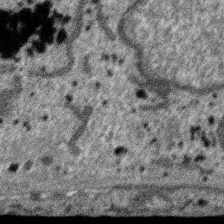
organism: Human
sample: Lung epithelial cells infected with SARS-CoV-2